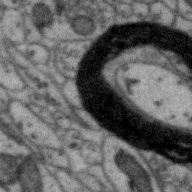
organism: Zebra finch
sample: Brain